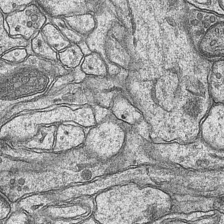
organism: Mouse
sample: CA1 Hippocampus